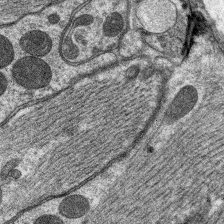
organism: C. elegans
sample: Pharynx